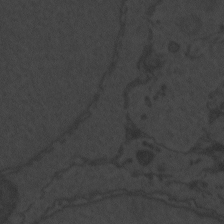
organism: Zebrafish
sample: Macrophage infected with Toxoplasma gondii